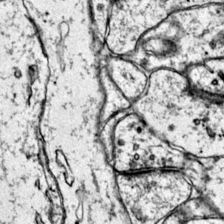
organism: Mouse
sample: Primary visual cortex